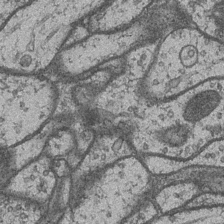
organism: Drosophila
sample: Optic medulla